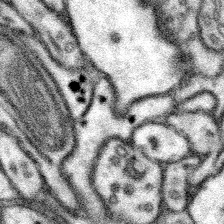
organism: Mouse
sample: Somatosensory cortex neuropil